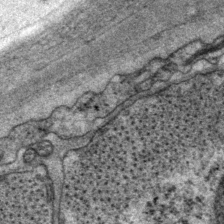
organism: P. pacificus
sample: Pharynx